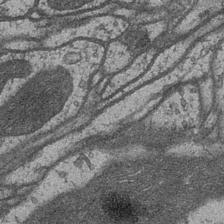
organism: Drosophila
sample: Optic medulla